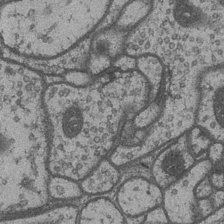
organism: Drosophila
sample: Optic medulla